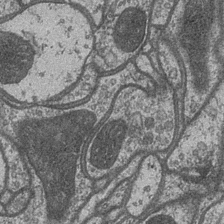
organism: Drosophila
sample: Optic medulla